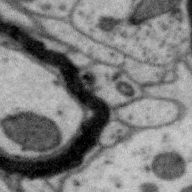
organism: Zebra finch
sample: Brain